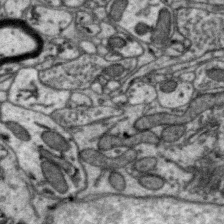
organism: Zebra finch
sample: Brain